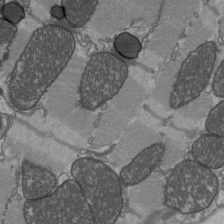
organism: C57BL Mouse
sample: Heart